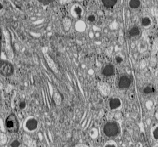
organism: C57BL Mouse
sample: Pancreatic islet